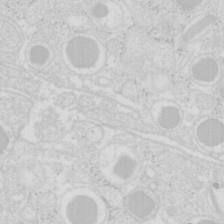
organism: Mouse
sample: Pancreas